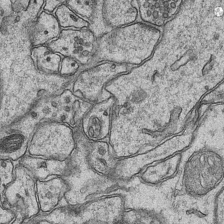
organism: Mouse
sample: CA1 Hippocampus